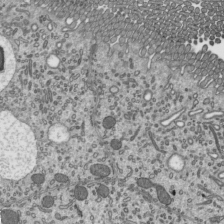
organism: Mouse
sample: Mouse epididymis efferent ductule cilia